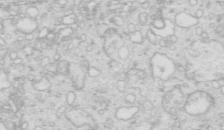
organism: Mouse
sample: Multiciliated cells